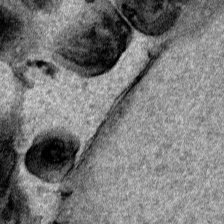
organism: Human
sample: Mitochondria in HCT116 cells